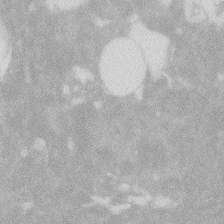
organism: Zebrafish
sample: Macrophage